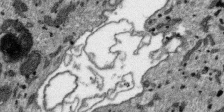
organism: Human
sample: Lung epithelial cells, uninfected (mock) control